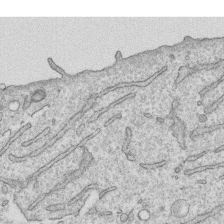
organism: Human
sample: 1205lu cells